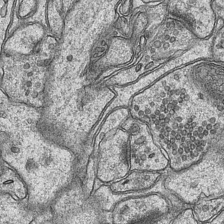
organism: Mouse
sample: CA1 Hippocampus